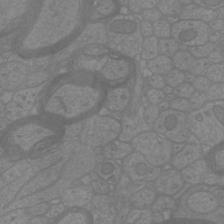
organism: Mouse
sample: Cortical neurons